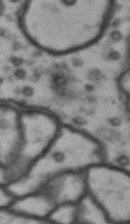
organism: Drosophila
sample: Brain